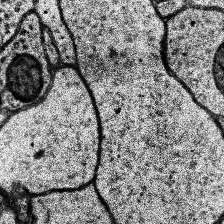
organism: Human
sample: Temporal Lobe